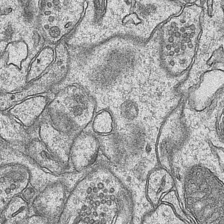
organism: Mouse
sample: CA1 Hippocampus